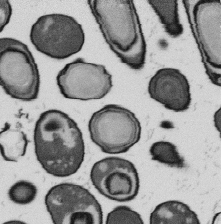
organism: B. subtilis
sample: Bacterial spore